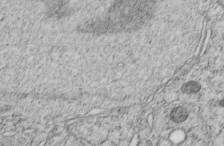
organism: C. elegans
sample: C. elegans embryo early stage